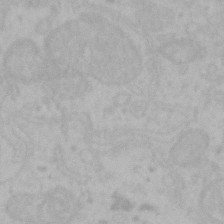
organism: Mouse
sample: Choroid plexus